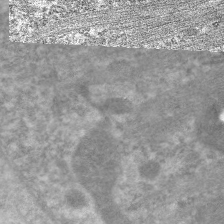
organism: C. elegans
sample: Pharynx